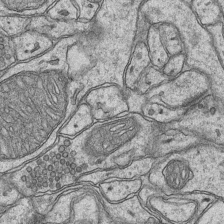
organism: Mouse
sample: CA1 Hippocampus